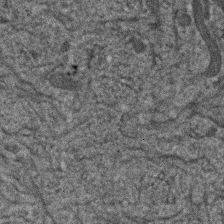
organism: Human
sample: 1205lu cells